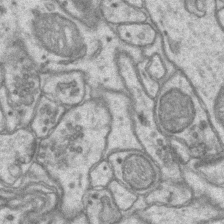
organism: Mouse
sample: CA1 Hippocampus